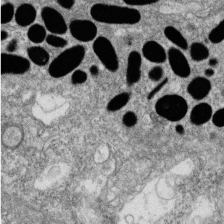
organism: Zebrafish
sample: Cilia; retinal pigment epithelium